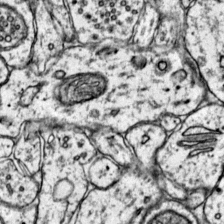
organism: Mouse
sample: Primary visual cortex